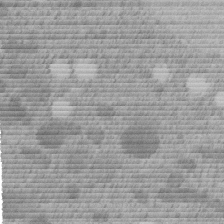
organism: C. elegans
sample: C. elegans embryo early stage